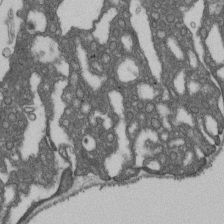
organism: Drosophila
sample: Nephrocyte